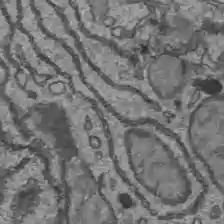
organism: C57BL Mouse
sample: Liver